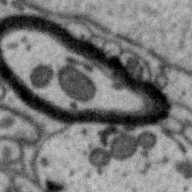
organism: Zebra finch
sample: Brain